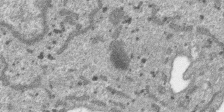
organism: Human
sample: Lung epithelial cells infected with SARS-CoV-2